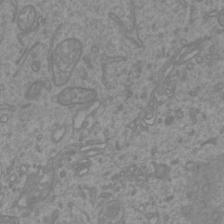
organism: Mouse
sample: Cortical neurons